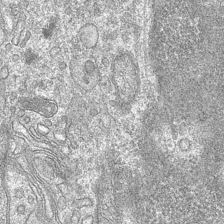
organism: Mouse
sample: CA1 Hippocampus